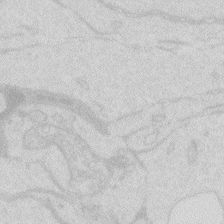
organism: Zebrafish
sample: Macrophage